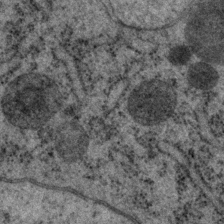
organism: P. pacificus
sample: Pharynx